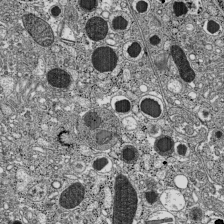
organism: C57BL Mouse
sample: Pancreatic islet